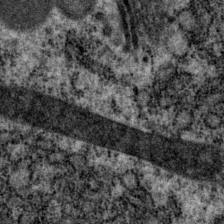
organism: P. pacificus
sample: Pharynx